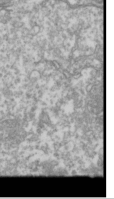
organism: Drosophila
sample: Cell division; meiosis; drosophila spermatocytes